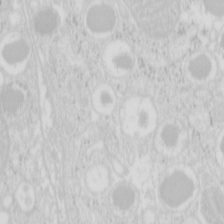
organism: Mouse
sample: Pancreas